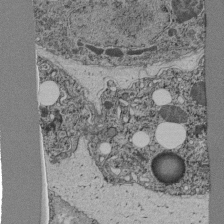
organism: C. elegans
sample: C. elegans pharynx